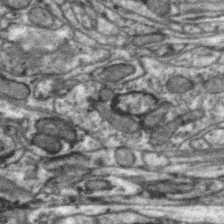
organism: Zebra finch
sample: Brain